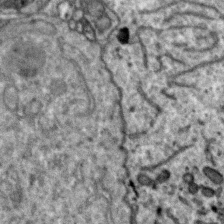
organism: Zebra finch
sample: Brain